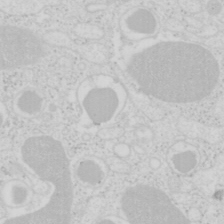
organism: Mouse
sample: Pancreas